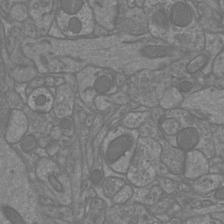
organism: Mouse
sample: Cortical neurons